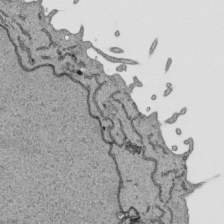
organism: Human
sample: Mitochondria in HCT116 cells